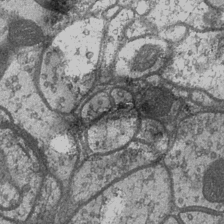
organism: Drosophila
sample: Optic medulla